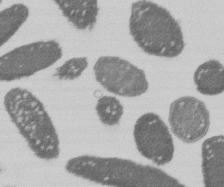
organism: E. coli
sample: Bacterial nucleoid